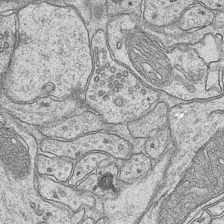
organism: Mouse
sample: CA1 Hippocampus